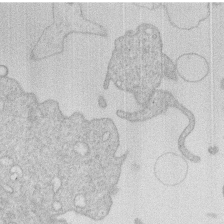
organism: Human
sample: Macrophage cells